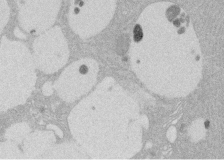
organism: Rat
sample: Salivary granule